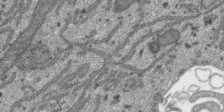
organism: Human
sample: Lung epithelial cells infected with SARS-CoV-2